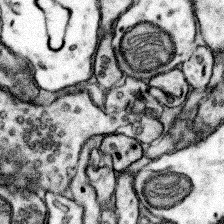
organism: Mouse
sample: Somatosensory cortex neuropil